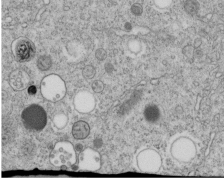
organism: C. elegans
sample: C. elegans embryo early stage